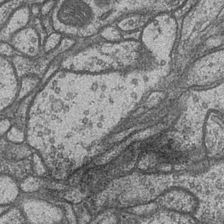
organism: Drosophila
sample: Optic medulla